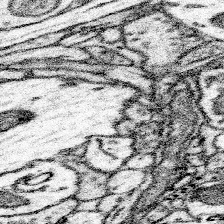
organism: Mouse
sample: Somatosensory cortex neuropil